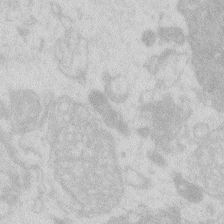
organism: Zebrafish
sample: Macrophage